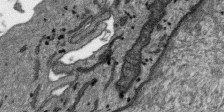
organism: Human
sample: Lung epithelial cells, uninfected (mock) control